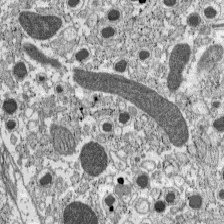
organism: C57BL Mouse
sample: Pancreatic islet